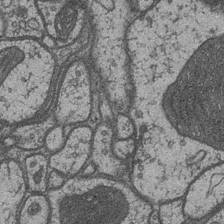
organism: Drosophila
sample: Optic medulla